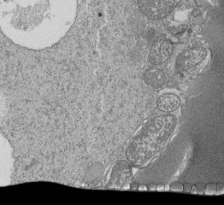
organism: Tetrahymena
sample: Cilia in tetrahymena